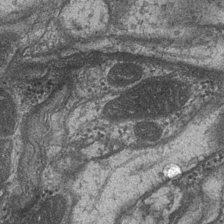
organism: Drosophila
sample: Optic medulla